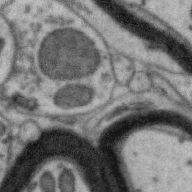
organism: Zebra finch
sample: Brain